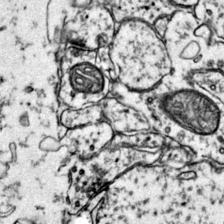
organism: Mouse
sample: Primary visual cortex